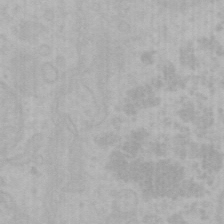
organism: Mouse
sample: Choroid plexus